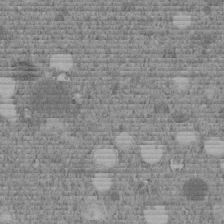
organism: C. elegans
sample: C. elegans embryo early stage